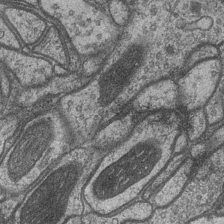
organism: Drosophila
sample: Optic medulla